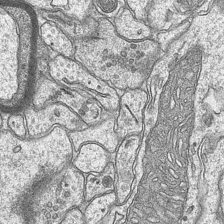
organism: Mouse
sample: CA1 Hippocampus